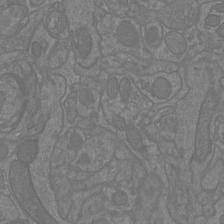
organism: Mouse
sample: Cortical neurons